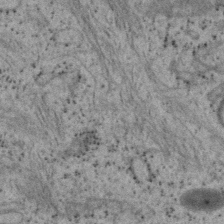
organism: Human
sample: HeLa cells